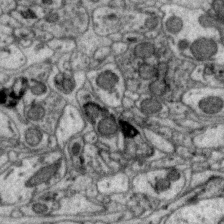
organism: Zebra finch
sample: Brain